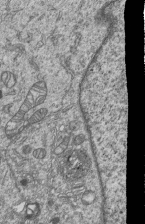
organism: Human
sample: MDA-MB-231 cells